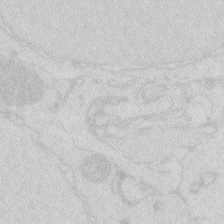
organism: Zebrafish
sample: Macrophage